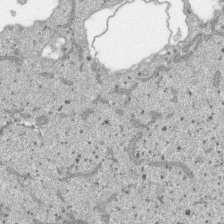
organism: Human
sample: Lung epithelial cells infected with SARS-CoV-2